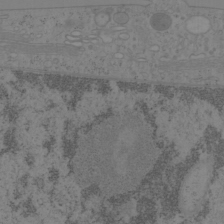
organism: Human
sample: HeLa cells